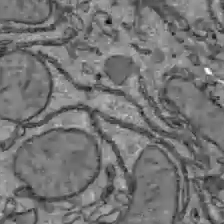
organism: C57BL Mouse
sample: Liver